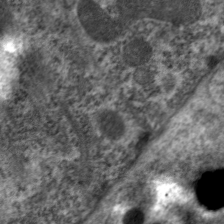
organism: C. elegans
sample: Pharynx